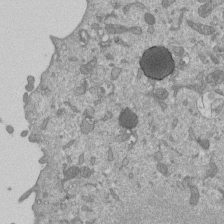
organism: Mouse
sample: ED-1 cell nuclei; centrioles